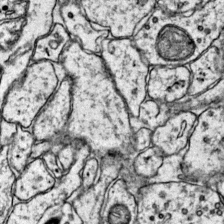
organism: Mouse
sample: Primary visual cortex